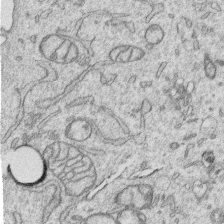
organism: Human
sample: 1205lu cells